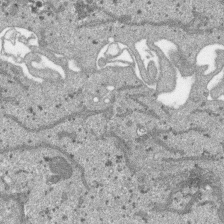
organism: Human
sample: Lung epithelial cells infected with SARS-CoV-2